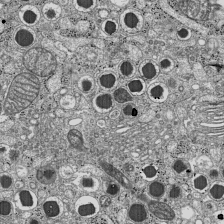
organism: C57BL Mouse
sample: Pancreatic islet